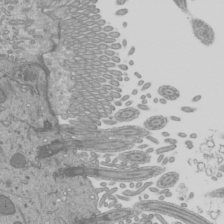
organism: Mouse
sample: Cilia; mouse epididymis